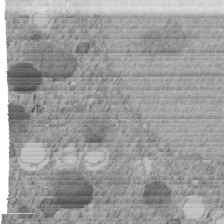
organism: C. elegans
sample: C. elegans embryo early stage